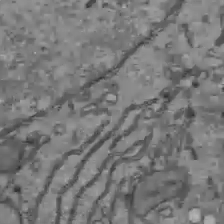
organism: C57BL Mouse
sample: Liver